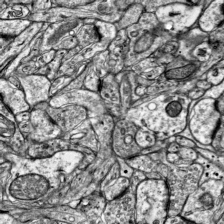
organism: Mouse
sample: Visual Cortex